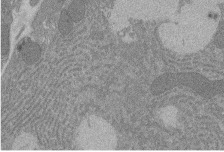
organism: Rat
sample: Salivary granule